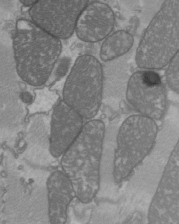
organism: C57BL Mouse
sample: Heart